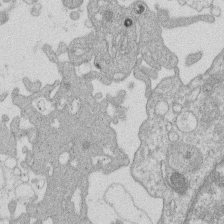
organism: Human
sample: Macrophage cells